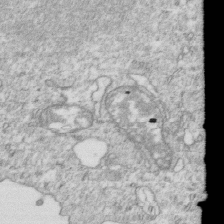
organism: Mouse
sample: Activated OT-1 CD8+ T cells